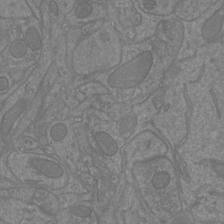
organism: Mouse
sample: Cortical neurons